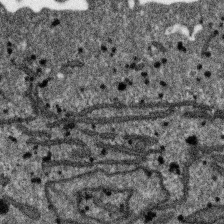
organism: Human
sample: Lung epithelial cells infected with SARS-CoV-2